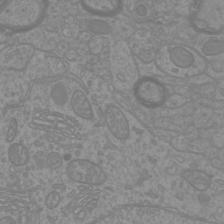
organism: Mouse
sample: Cortical neurons